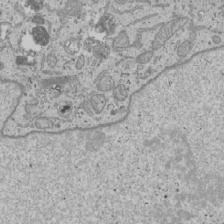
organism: Human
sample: Mitochondria in U2OS cells